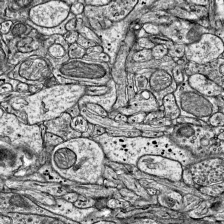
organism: Mouse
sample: Visual Cortex